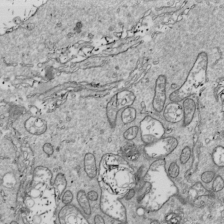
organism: Drosophila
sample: Cell division; meiosis; drosophila spermatocytes